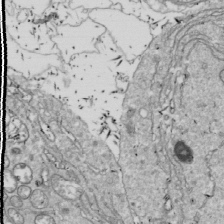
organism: Drosophila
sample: Cell division; meiosis; drosophila spermatocytes